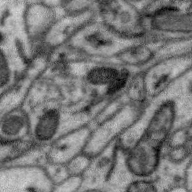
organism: Zebra finch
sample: Brain